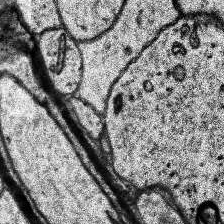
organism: Human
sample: Temporal Lobe